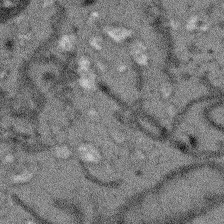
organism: Arabidopsis thaliana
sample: Root tip